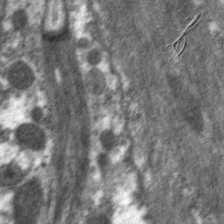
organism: C. elegans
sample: Pharynx